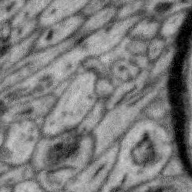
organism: Zebra finch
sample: Brain